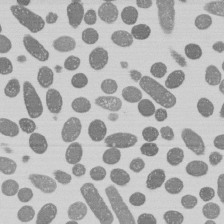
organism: E. coli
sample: Bacterial nucleoid